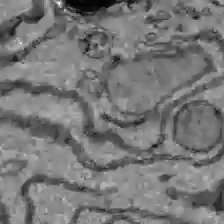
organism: C57BL Mouse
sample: Liver